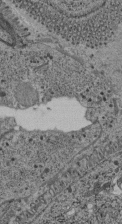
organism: C. elegans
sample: C. elegans pharynx